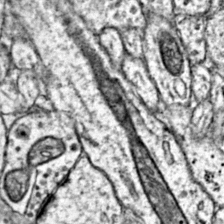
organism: Mouse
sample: Primary visual cortex